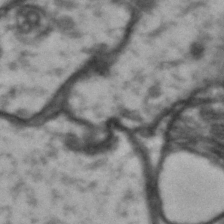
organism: Drosophila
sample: Brain